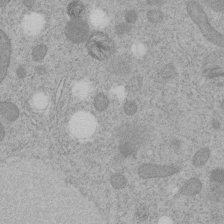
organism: C. elegans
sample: C. elegans embryo early stage